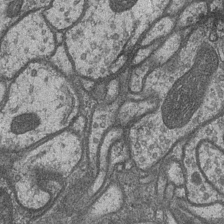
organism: Drosophila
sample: Optic medulla